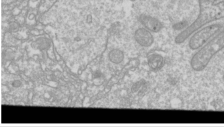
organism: Drosophila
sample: Cell division; meiosis; drosophila spermatocytes